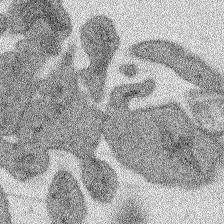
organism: Human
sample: HeLa cells